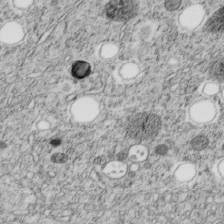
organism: C. elegans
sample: C. elegans embryo early stage